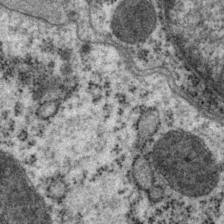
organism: P. pacificus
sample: Pharynx